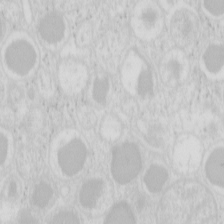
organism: Mouse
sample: Pancreas